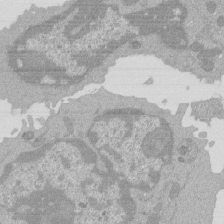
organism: Mouse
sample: Activated Pmel transgenic CD8+ T Cells